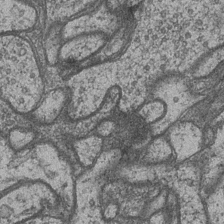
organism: Drosophila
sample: Optic medulla